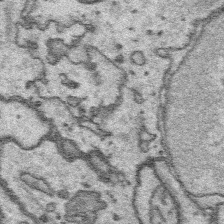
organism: Platynereis dumerilii